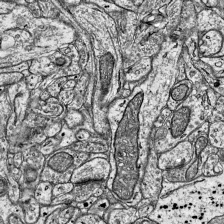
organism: Mouse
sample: Visual Cortex